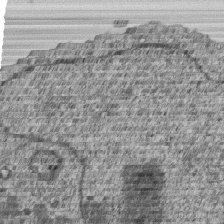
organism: Human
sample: MDA-MB-231 cells